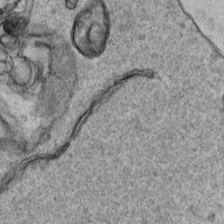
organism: Human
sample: Mitochondria in HCT116 cells